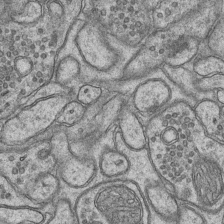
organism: Mouse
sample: CA1 Hippocampus